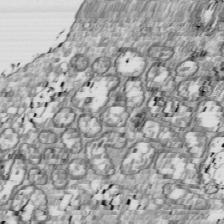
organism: Drosophila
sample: Cell division; meiosis; drosophila spermatocytes